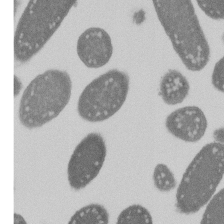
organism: E. coli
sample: Bacterial nucleoid